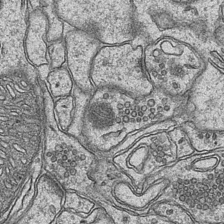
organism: Mouse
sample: CA1 Hippocampus